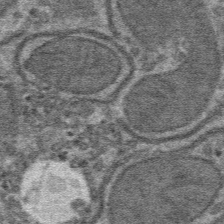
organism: Mouse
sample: Mouse hepatocytes